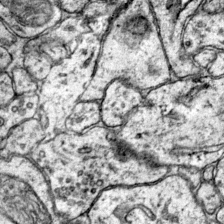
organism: Mouse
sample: Primary visual cortex